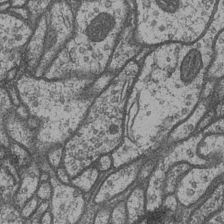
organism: Drosophila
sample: Optic medulla